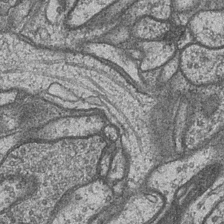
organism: Drosophila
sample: Optic medulla